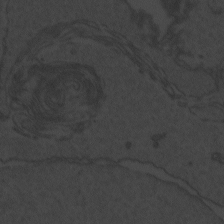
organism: Zebrafish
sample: Macrophage infected with Toxoplasma gondii